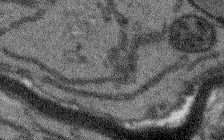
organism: Arabidopsis thaliana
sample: Root tip